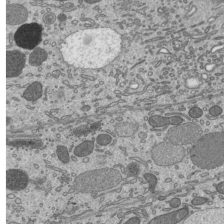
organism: Mouse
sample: Mouse epididymis efferent ductule cilia